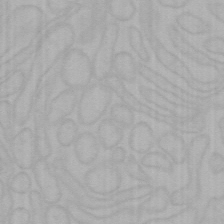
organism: Mouse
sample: Choroid plexus